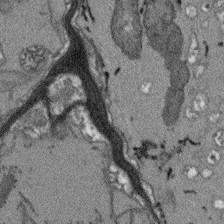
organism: Arabidopsis thaliana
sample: Root tip